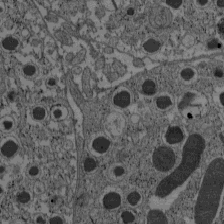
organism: C57BL Mouse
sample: Pancreatic islet